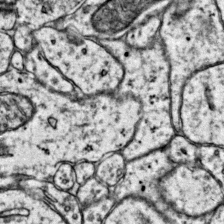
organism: Mouse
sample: Primary visual cortex